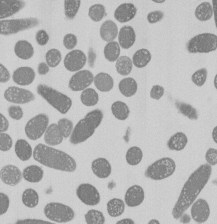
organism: E. coli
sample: Bacterial nucleoid